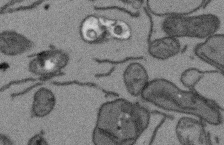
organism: Arabidopsis thaliana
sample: Root tip